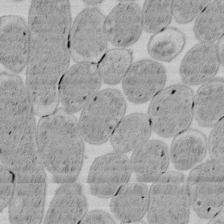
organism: E. coli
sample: Bacterial nucleoid